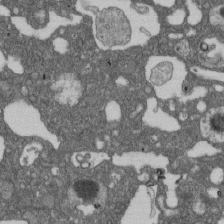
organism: Drosophila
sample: Nephrocyte